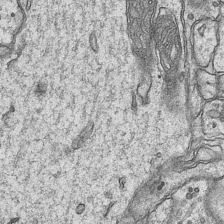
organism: Mouse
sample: CA1 Hippocampus